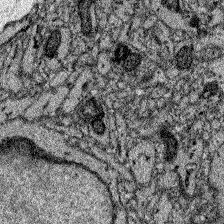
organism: Zebrafish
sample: Larval olfactory bulb